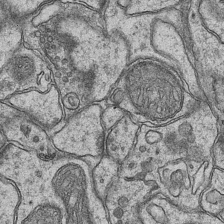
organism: Mouse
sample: CA1 Hippocampus